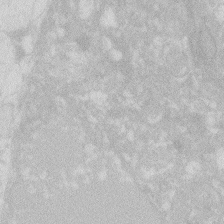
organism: Zebrafish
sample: Macrophage